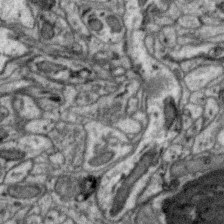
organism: Zebra finch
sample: Brain